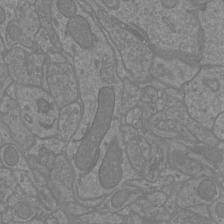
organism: Mouse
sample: Cortical neurons